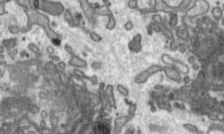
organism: Toxoplasma gondii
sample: Parasites in a vacuole inside a host cell